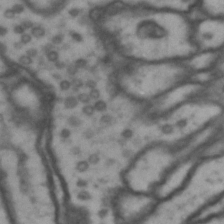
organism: Drosophila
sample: Brain